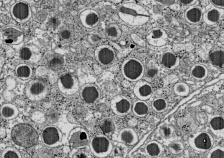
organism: C57BL Mouse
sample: Pancreatic islet